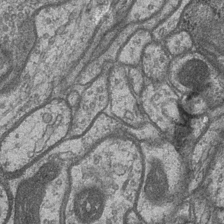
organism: Drosophila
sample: Optic medulla